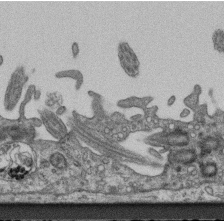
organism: Mouse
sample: Centriole in ependymal cells